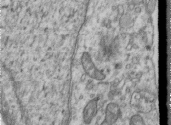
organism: Human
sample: Centriole in RPE cells